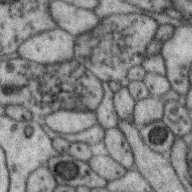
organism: Zebra finch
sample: Brain